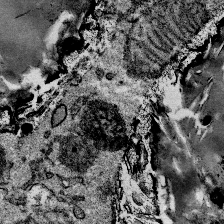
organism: Mouse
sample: Mouse Salivary gland